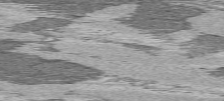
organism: C57BL Mouse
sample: Heart